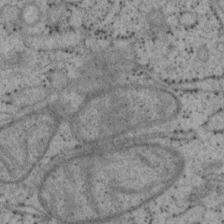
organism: Human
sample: HeLa cells